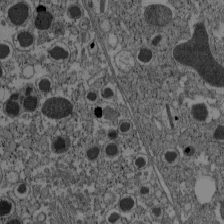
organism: C57BL Mouse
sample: Pancreatic islet